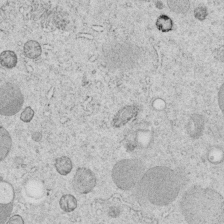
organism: C. elegans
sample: C. elegans embryo early stage